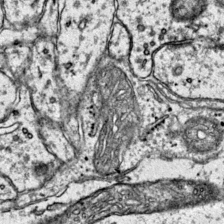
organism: Mouse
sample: Primary visual cortex